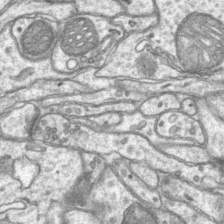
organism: Mouse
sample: CA1 Hippocampus